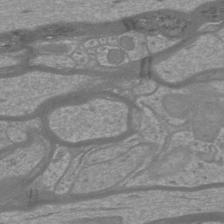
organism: Mouse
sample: Cortical neurons